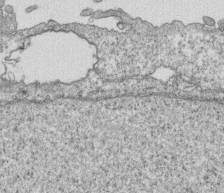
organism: Human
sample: HeLa cell HIV synapse